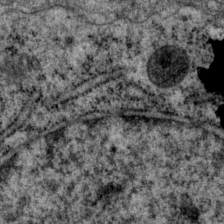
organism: P. pacificus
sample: Pharynx